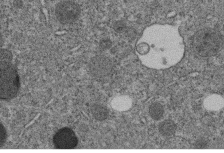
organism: C. elegans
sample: C. elegans embryo early stage